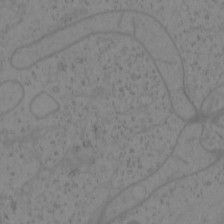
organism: Human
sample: HeLa cells